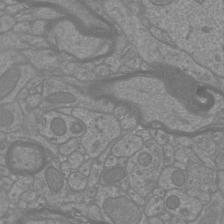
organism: Mouse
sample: Cortical neurons